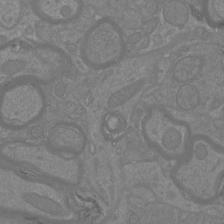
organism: Mouse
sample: Cortical neurons